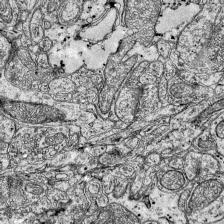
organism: Mouse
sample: Visual Cortex